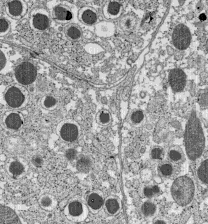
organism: C57BL Mouse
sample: Pancreatic islet